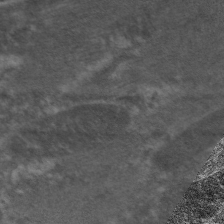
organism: C. elegans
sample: Pharynx